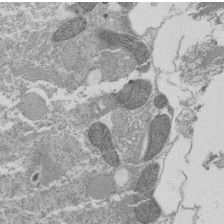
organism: Tetrahymena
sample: Cilia in tetrahymena